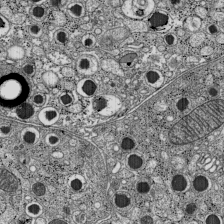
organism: C57BL Mouse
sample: Pancreatic islet